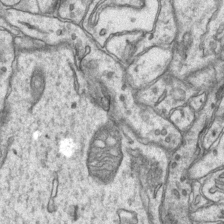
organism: Mouse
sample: CA1 Hippocampus